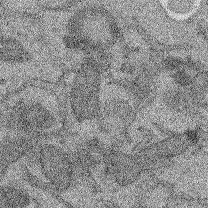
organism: Human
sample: HeLa cells